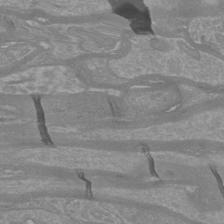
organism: Mouse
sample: Cortical neurons